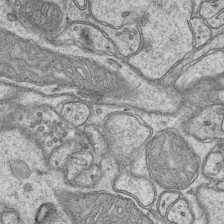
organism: Mouse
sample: CA1 Hippocampus